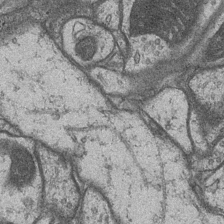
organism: Drosophila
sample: Optic medulla